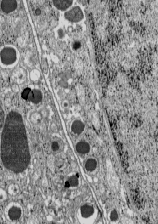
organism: C57BL Mouse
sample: Pancreatic islet